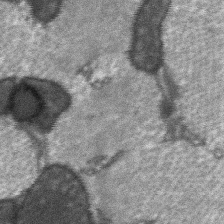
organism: C57BL Mouse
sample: Soleus